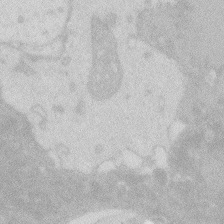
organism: Zebrafish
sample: Macrophage